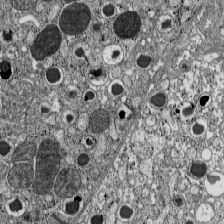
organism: C57BL Mouse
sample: Pancreatic islet